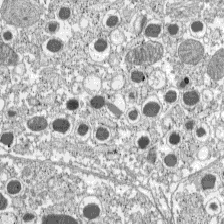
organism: C57BL Mouse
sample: Pancreatic islet